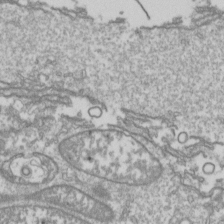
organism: Drosophila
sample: Cell division; meiosis; drosophila spermatocytes